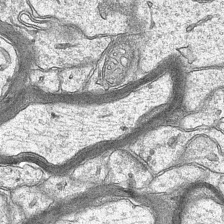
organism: Mouse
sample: CA1 Hippocampus